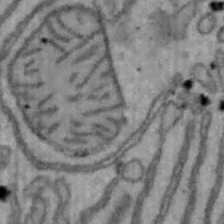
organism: Mouse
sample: Liver